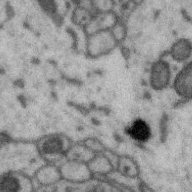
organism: Zebra finch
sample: Brain